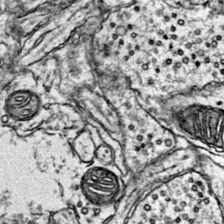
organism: Mouse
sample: Primary visual cortex